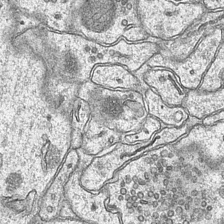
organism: Mouse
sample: CA1 Hippocampus